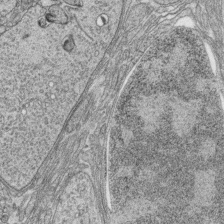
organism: Zebrafish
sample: synaptic ribbons in rod cells and cone cells